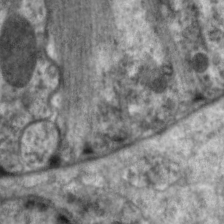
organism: C. elegans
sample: Pharynx